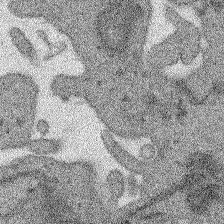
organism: Human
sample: HeLa cells